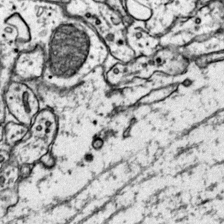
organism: Mouse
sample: Primary visual cortex